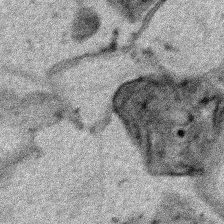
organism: Human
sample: Mitochondria in HCT116 cells